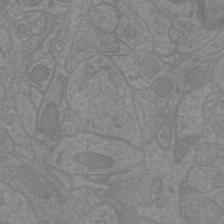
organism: Mouse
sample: Cortical neurons